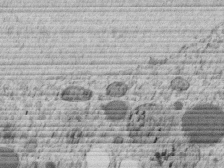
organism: C. elegans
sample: C. elegans embryo early stage